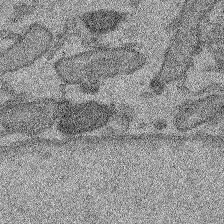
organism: Human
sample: HeLa cells